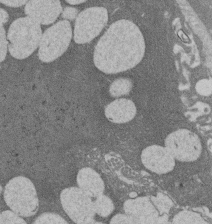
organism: Rat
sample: Salivary granule